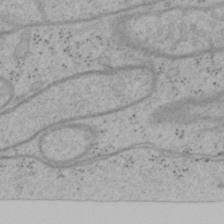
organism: Human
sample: HeLa cells